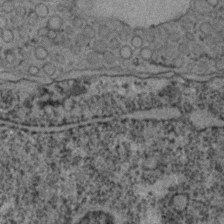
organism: C. elegans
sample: C. elegans embryo